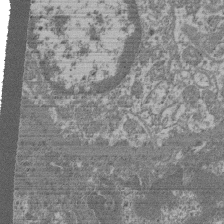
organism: Mouse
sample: Glomerulus